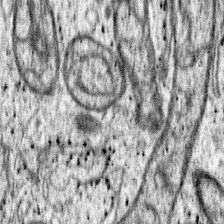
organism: Human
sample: HeLa cells